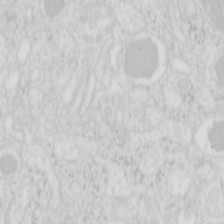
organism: Mouse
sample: Pancreas